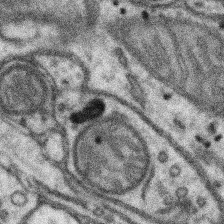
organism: Mouse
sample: Somatosensory cortex neuropil